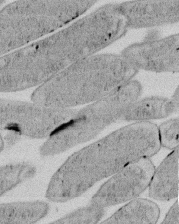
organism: E. coli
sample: Bacterial nucleoid